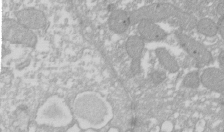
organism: Xenopus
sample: Cilia; centrioles in frog embryo cells